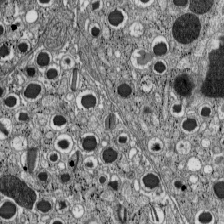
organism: C57BL Mouse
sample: Pancreatic islet